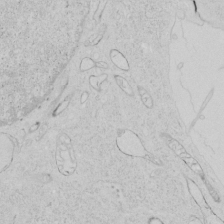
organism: Human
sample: Mitochondria in HCT116 cells